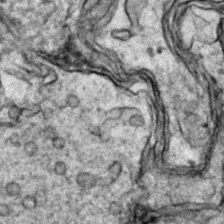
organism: Zebrafish